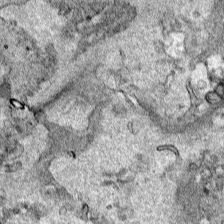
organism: Human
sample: Mitochondria in HCT116 cells